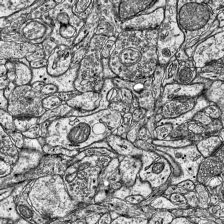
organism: Mouse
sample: Visual Cortex